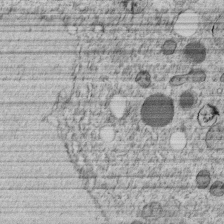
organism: C. elegans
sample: C. elegans embryo early stage